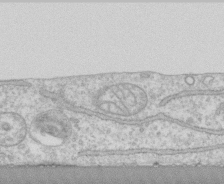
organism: Human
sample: CRL-1474